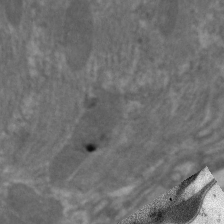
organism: C. elegans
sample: Pharynx